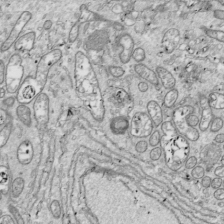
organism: Drosophila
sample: Cell division; meiosis; drosophila spermatocytes